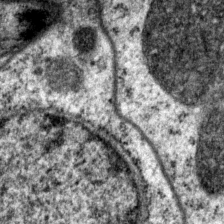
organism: P. pacificus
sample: Pharynx